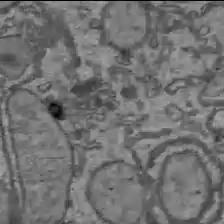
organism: C57BL Mouse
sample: Liver